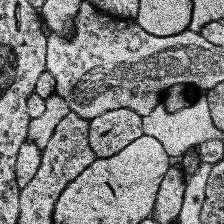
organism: Human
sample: Temporal Lobe